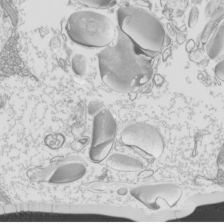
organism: Mouse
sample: Cilia; mouse epididymis